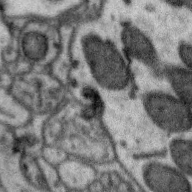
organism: Zebra finch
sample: Brain